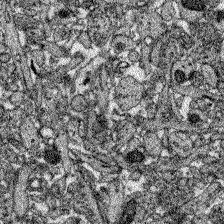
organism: Zebrafish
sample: Larval olfactory bulb